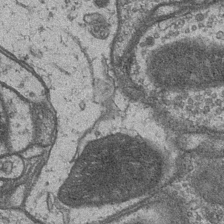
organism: Drosophila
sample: Optic medulla